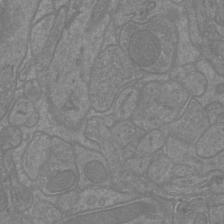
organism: Mouse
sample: Cortical neurons